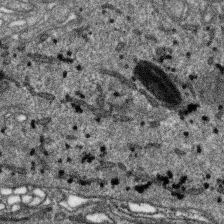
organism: Human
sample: Lung epithelial cells infected with SARS-CoV-2